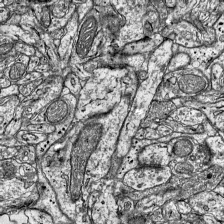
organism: Mouse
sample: Visual Cortex